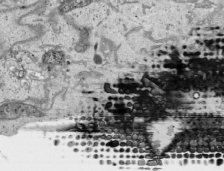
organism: Human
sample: Mitochondria in HCT116 cells